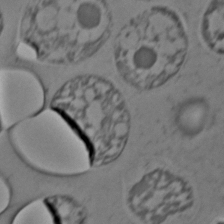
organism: C. elegans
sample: C. elegans embryo